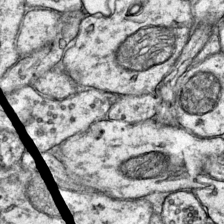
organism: Mouse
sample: Primary visual cortex